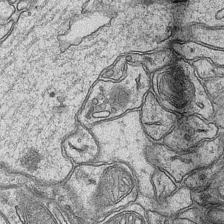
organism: Mouse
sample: CA1 Hippocampus